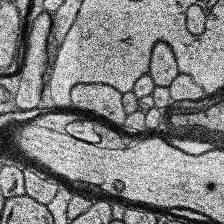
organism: Human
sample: Temporal Lobe